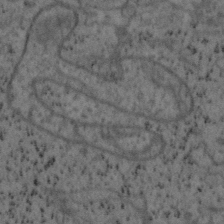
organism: Human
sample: HeLa cells